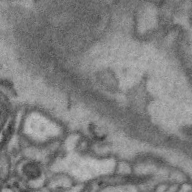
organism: Zebra finch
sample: Brain